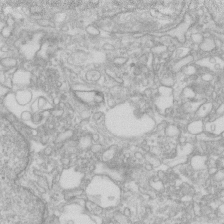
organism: Human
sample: Fibroblast cells